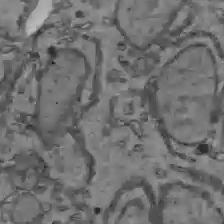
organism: C57BL Mouse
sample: Liver